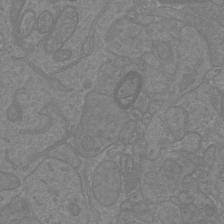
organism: Mouse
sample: Cortical neurons